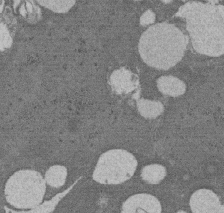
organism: Rat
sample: Salivary granule